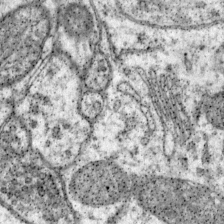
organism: Mouse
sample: Primary visual cortex